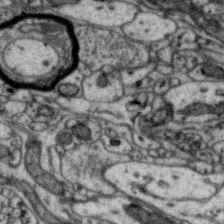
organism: Zebra finch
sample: Brain